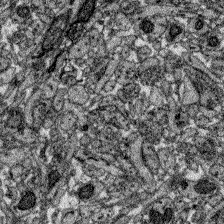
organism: Zebrafish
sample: Larval olfactory bulb